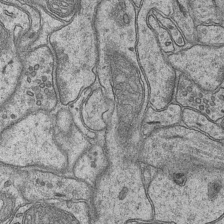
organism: Mouse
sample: CA1 Hippocampus